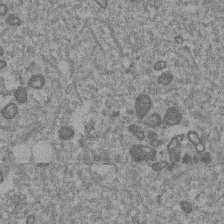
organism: Mouse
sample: Dividing mouse embryo 1 cell stage